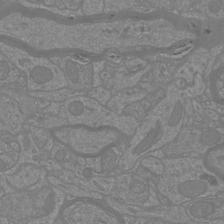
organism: Mouse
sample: Cortical neurons